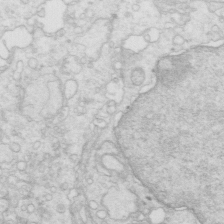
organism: Mouse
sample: Multiciliated cells